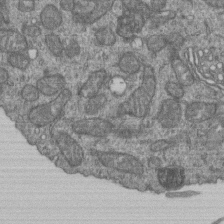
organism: Human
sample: Retinal organoid Rod and Cone cells